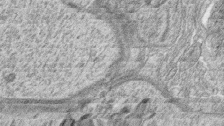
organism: Zebrafish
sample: synaptic ribbons in rod cells and cone cells